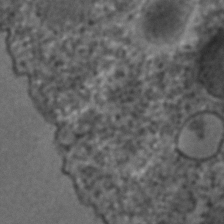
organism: C. elegans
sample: C. elegans embryo